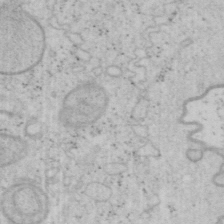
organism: Human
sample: HeLa cells